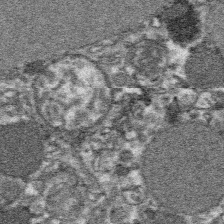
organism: Platynereis dumerilii